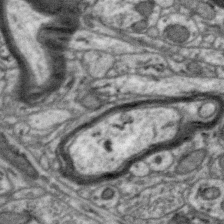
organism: Zebra finch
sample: Brain